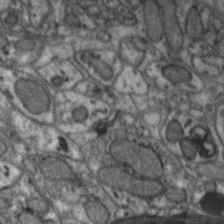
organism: Zebra finch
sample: Brain